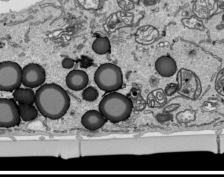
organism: Human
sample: Mitochondria in HCT116 cells